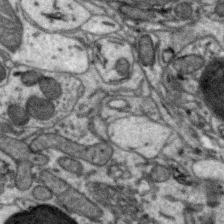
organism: Zebra finch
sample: Brain